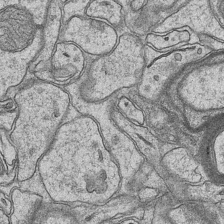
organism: Mouse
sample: CA1 Hippocampus